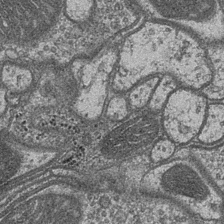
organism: Drosophila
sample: Optic medulla